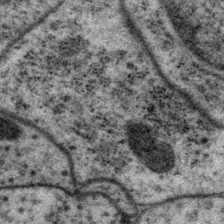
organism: P. pacificus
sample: Pharynx